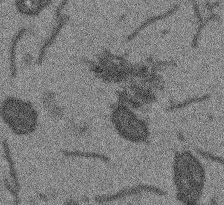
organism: Arabidopsis thaliana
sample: Root tip